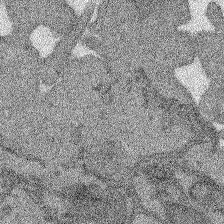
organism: Human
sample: HeLa cells